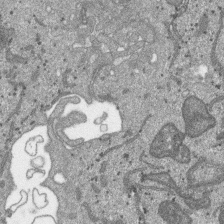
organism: Human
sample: Lung epithelial cells infected with SARS-CoV-2